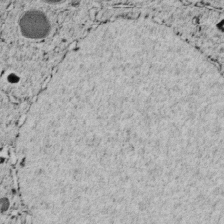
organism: C. elegans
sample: C. elegans embryo early stage